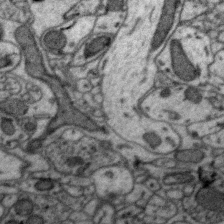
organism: Zebra finch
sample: Brain